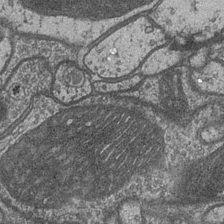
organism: Drosophila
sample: Optic medulla